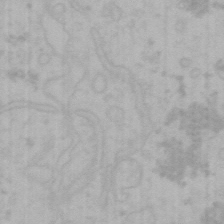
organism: Mouse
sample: Choroid plexus